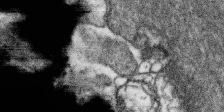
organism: Human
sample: Lung epithelial cells infected with SARS-CoV-2